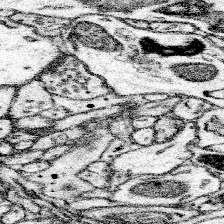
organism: Mouse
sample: Somatosensory cortex neuropil